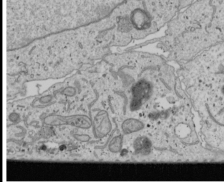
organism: Human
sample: Mitochondria in U2OS cells